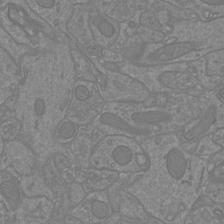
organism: Mouse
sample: Cortical neurons